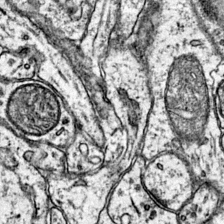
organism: Mouse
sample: Primary visual cortex